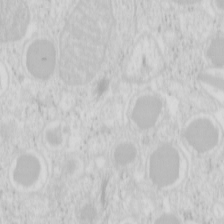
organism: Mouse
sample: Pancreas